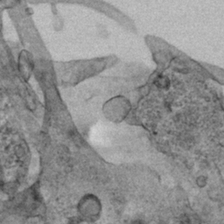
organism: Human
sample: Mitochondria in HCT116 cells